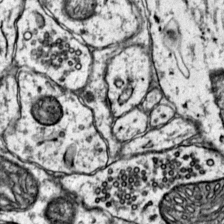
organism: Mouse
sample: Primary visual cortex